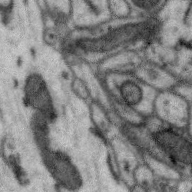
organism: Zebra finch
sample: Brain